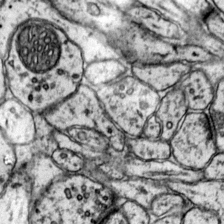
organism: Mouse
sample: Primary visual cortex